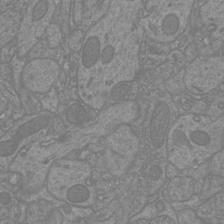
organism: Mouse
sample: Cortical neurons